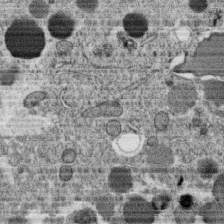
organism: C. elegans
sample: C. elegans oocyte; sperm cells